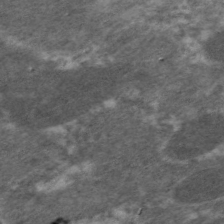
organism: C. elegans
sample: Pharynx